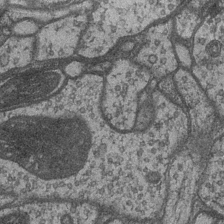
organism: Drosophila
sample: Optic medulla